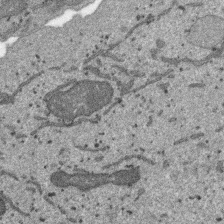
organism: Human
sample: Lung epithelial cells infected with SARS-CoV-2